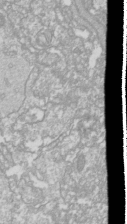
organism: Drosophila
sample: Cell division; meiosis; drosophila spermatocytes